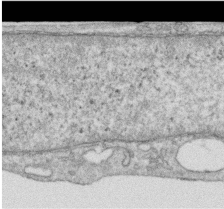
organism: Human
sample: Centriole in RPE cells